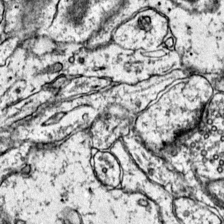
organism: Mouse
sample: Primary visual cortex